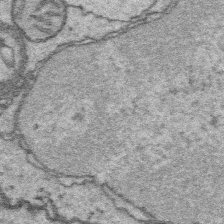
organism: Platynereis dumerilii